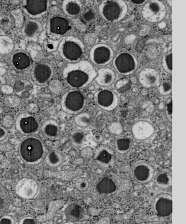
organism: C57BL Mouse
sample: Pancreatic islet